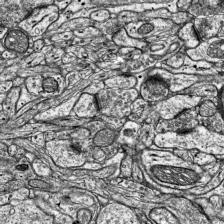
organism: Mouse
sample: Visual Cortex